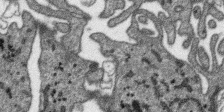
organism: Human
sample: Lung epithelial cells infected with SARS-CoV-2